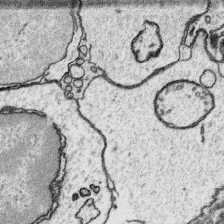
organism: Platynereis dumerilii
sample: Parapodia